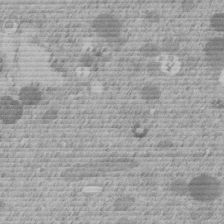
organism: C. elegans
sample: C. elegans embryo early stage